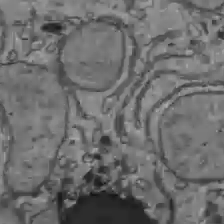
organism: C57BL Mouse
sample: Liver